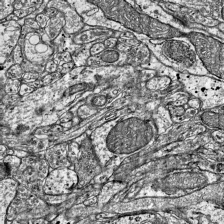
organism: Mouse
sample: Visual Cortex